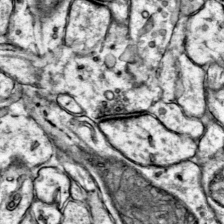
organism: Mouse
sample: Primary visual cortex